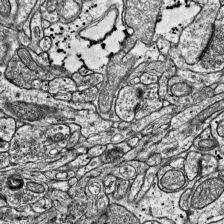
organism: Mouse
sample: Visual Cortex